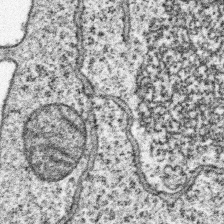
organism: Human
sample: HeLa cells